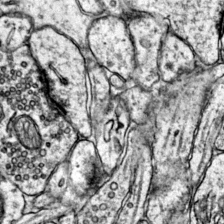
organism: Mouse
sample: Primary visual cortex